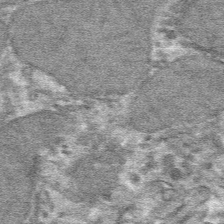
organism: Mouse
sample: Mouse hepatocytes